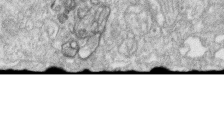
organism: Human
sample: HeLa cell HIV synapse